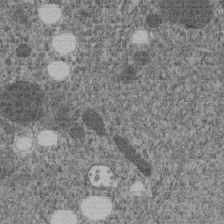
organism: C. elegans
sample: C. elegans embryo early stage